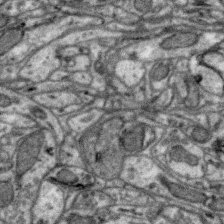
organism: Zebra finch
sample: Brain